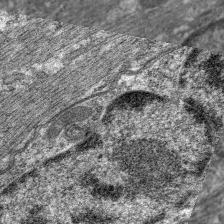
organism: C. elegans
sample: Pharynx